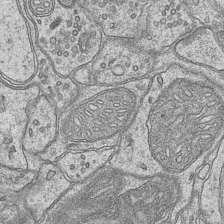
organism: Mouse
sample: CA1 Hippocampus